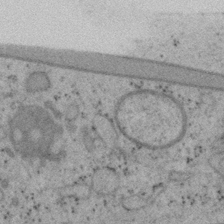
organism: Human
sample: HeLa cells